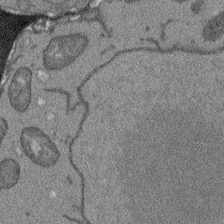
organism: Arabidopsis thaliana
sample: Root tip